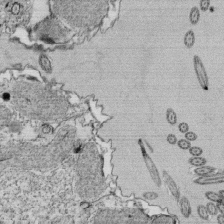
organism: Tetrahymena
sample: Cilia in tetrahymena